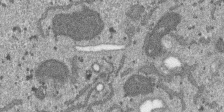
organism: Human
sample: Lung epithelial cells infected with SARS-CoV-2